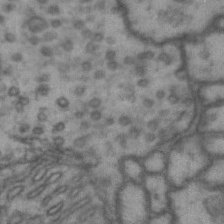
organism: Drosophila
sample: Brain